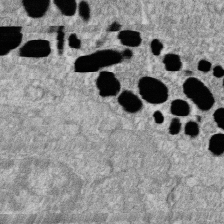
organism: Zebrafish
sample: Cilia; retinal pigment epithelium